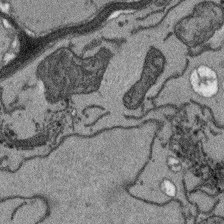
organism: Arabidopsis thaliana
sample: Root tip